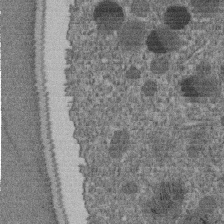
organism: C. elegans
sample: C. elegans embryo early stage